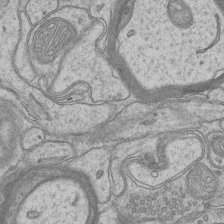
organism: Mouse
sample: CA1 Hippocampus